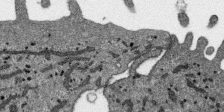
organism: Human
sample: Lung epithelial cells, uninfected (mock) control